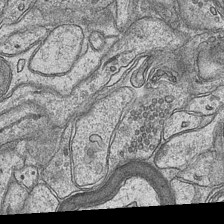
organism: Mouse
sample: CA1 Hippocampus